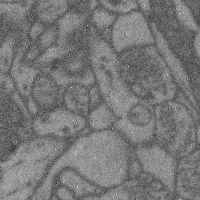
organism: Mouse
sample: Cerebral cortex